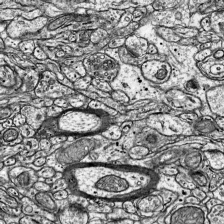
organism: Mouse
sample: Visual Cortex